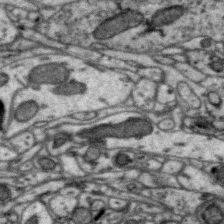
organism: Zebra finch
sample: Brain